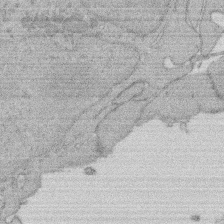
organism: Rat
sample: Salivary granule